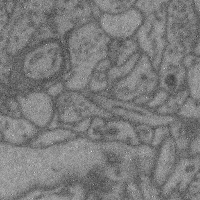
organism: Mouse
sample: Cerebral cortex